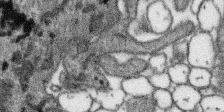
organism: Human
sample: Lung epithelial cells infected with SARS-CoV-2